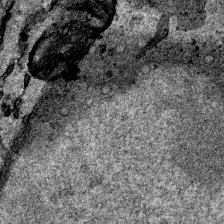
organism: Human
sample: Mitochondria in HCT116 cells